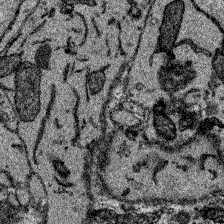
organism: Zebrafish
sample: Larval olfactory bulb